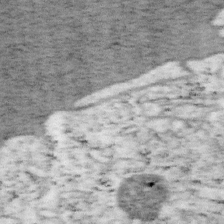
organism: Mouse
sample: OT-I killer T cells with ID8 ovarian cancer cells